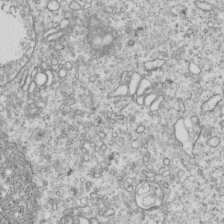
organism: Human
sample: MDA-MB-231 cells